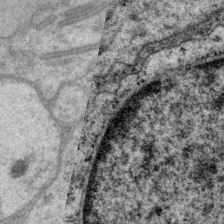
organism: P. pacificus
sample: Pharynx